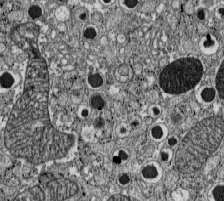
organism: C57BL Mouse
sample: Pancreatic islet